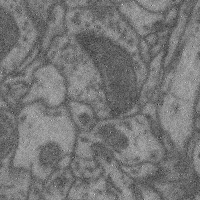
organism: Mouse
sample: Cerebral cortex